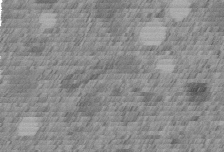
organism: C. elegans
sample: C. elegans embryo early stage